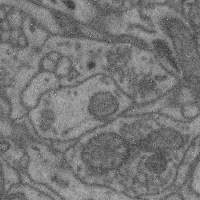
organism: Mouse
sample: Cerebral cortex